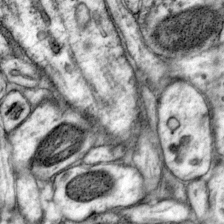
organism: Mouse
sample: Primary visual cortex